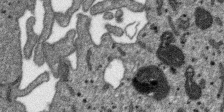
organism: Human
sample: Lung epithelial cells infected with SARS-CoV-2